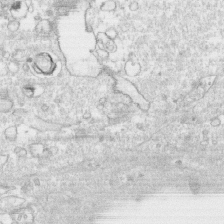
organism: Human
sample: CRL-1474